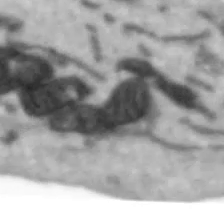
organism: Human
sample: SH-SY5Y cells